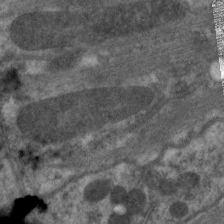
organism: C. elegans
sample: Pharynx